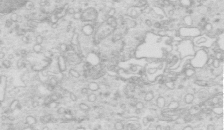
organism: Mouse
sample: Multiciliated cells